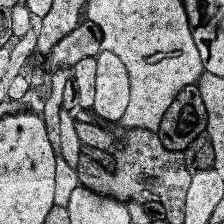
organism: Human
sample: Temporal Lobe